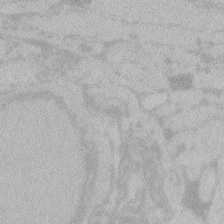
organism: Zebrafish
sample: Macrophage infected with Toxoplasma gondii